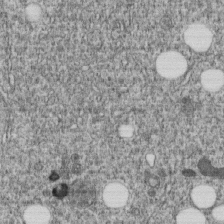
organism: C. elegans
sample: C. elegans embryo early stage